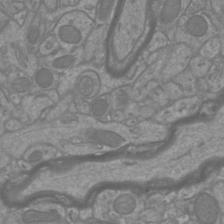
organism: Mouse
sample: Cortical neurons